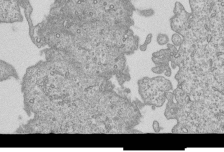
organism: Human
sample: MDA-MB-231 cells